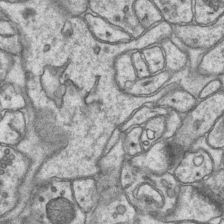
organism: Mouse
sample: CA1 Hippocampus